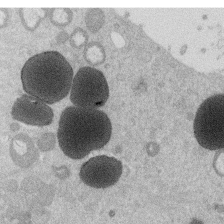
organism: Mouse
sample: Dividing mouse embryo 1 cell stage